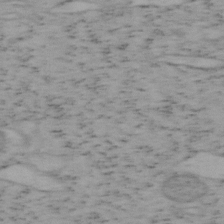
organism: Mouse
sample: OT-I killer T cells with ID8 ovarian cancer cells